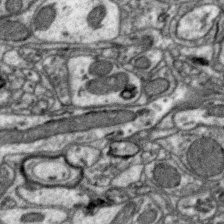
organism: Zebra finch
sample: Brain